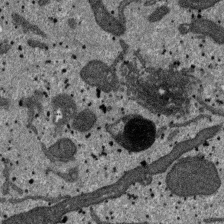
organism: Human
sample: Lung epithelial cells, uninfected (mock) control